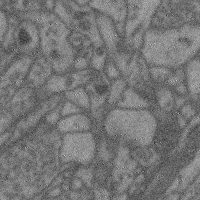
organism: Mouse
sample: Cerebral cortex